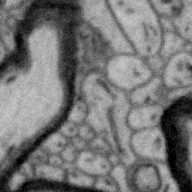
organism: Zebra finch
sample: Brain